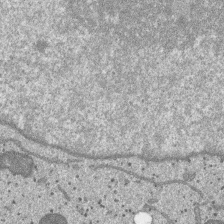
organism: Human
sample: Lung epithelial cells infected with SARS-CoV-2